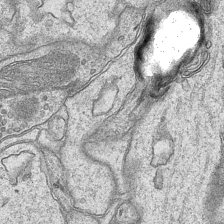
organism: Mouse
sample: CA1 Hippocampus